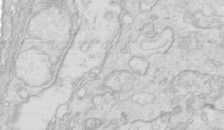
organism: Mouse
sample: Multiciliated cells